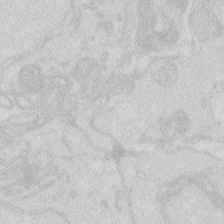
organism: Zebrafish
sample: Macrophage